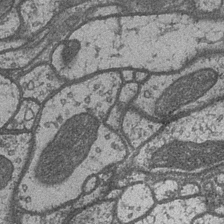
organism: Drosophila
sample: Optic medulla